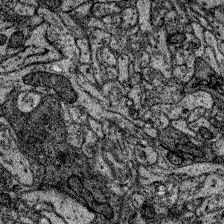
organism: Zebrafish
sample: Larval olfactory bulb